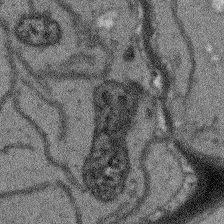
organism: Arabidopsis thaliana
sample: Root tip